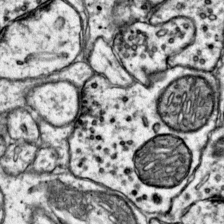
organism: Mouse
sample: Primary visual cortex